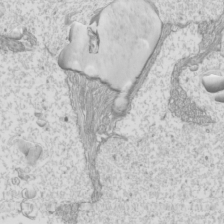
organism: Mouse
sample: Cilia; mouse epididymis